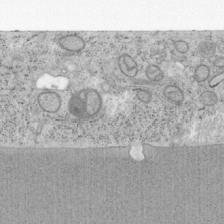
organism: Human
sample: HeLa cells